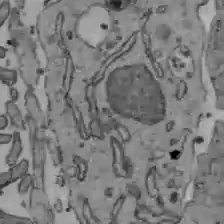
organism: C57BL Mouse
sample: Liver